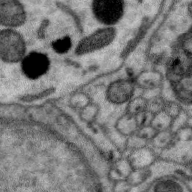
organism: Zebra finch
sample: Brain